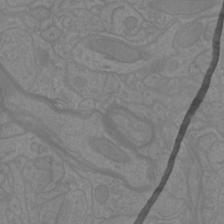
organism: Mouse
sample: Cortical neurons